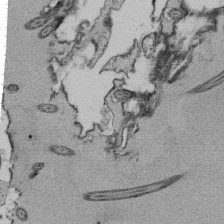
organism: Tetrahymena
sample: Cilia in tetrahymena